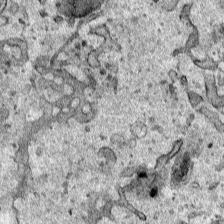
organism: Human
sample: Mitochondria in HCT116 cells